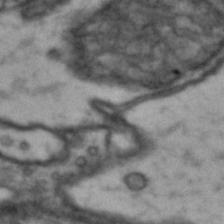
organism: Drosophila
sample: Brain